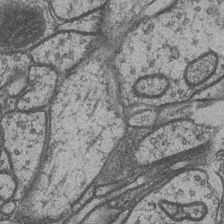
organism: Drosophila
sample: Optic medulla